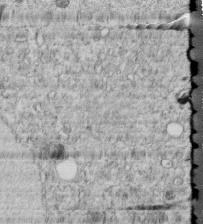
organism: C. elegans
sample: C. elegans embryo early stage